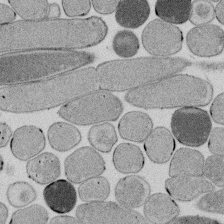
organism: E. coli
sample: Bacterial nucleoid